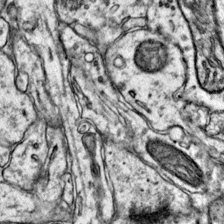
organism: Mouse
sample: Primary visual cortex